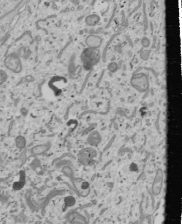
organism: Human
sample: Mitochondria in U2OS cells